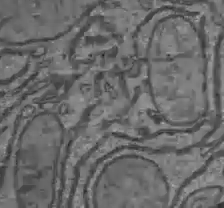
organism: C57BL Mouse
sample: Liver